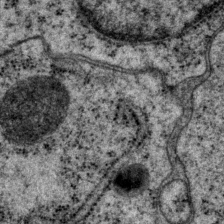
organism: P. pacificus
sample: Pharynx